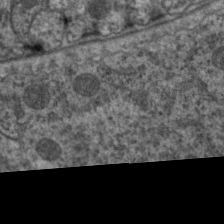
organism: C. elegans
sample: Pharynx